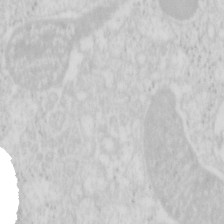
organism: Mouse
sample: Pancreas